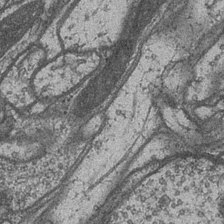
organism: Drosophila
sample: Optic medulla